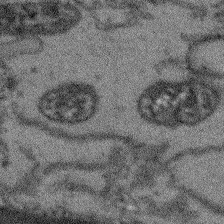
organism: Arabidopsis thaliana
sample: Root tip